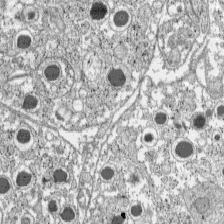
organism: C57BL Mouse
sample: Pancreatic islet